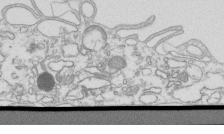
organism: Mouse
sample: Macrophages